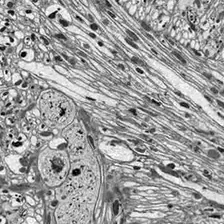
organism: Drosophila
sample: Optic lobe